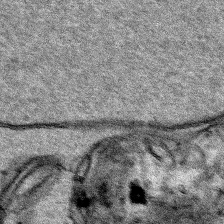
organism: Human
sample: Mitochondria in HCT116 cells